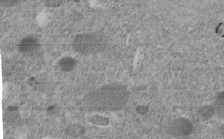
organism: C. elegans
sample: C. elegans embryo early stage